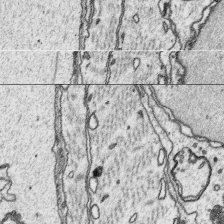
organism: Platynereis dumerilii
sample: Parapodia